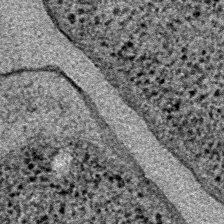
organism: E. coli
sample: E. Coli Bacteria